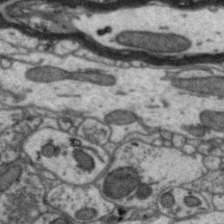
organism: Zebra finch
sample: Brain